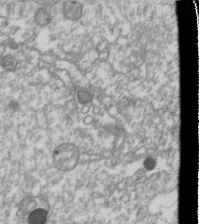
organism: Drosophila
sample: Cell division; meiosis; drosophila spermatocytes